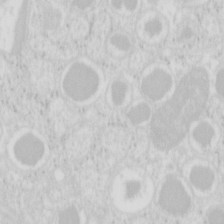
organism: Mouse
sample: Pancreas